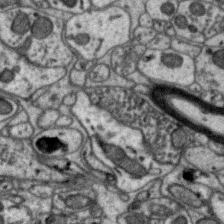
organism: Zebra finch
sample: Brain